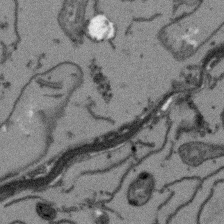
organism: Arabidopsis thaliana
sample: Root tip